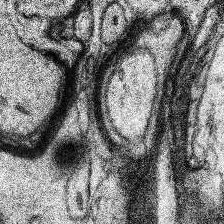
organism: Human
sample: Temporal Lobe